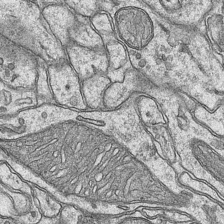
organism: Mouse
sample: CA1 Hippocampus